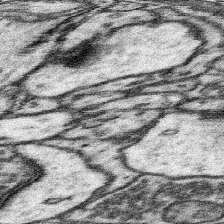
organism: Mouse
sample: Somatosensory cortex neuropil